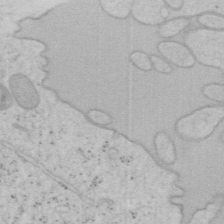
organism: Human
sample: HeLa cells